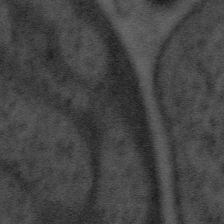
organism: Tuwongella immobilis